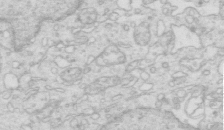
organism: Mouse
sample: Multiciliated cells